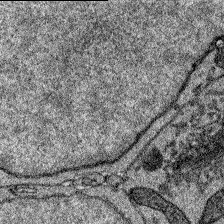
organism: Zebrafish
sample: Larval olfactory bulb